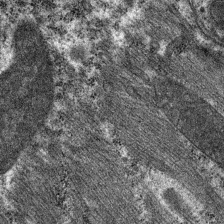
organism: C. elegans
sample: Pharynx